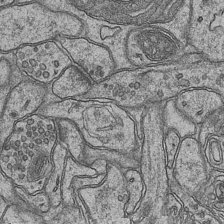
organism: Mouse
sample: CA1 Hippocampus